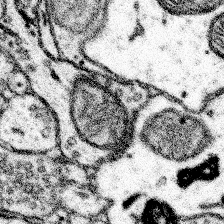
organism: Mouse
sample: Somatosensory cortex neuropil